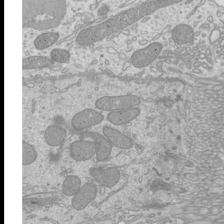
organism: Mouse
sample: Cilia; mouse epididymis